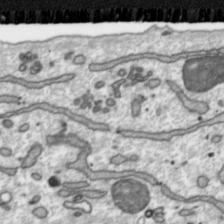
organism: Toxoplasma gondii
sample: Parasites in a vacuole inside a host cell